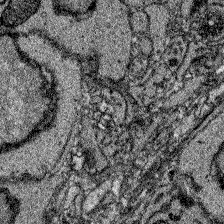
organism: Zebrafish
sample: Larval olfactory bulb